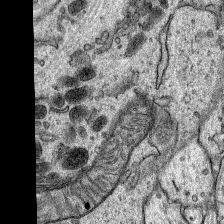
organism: Rat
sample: Hippocampus